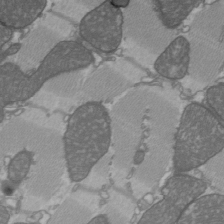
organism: C57BL Mouse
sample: Heart